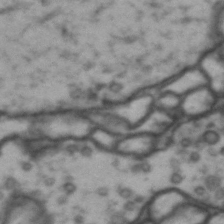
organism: Drosophila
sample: Brain